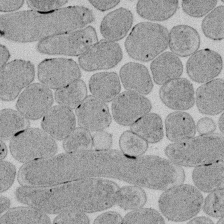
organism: E. coli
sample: Bacterial nucleoid